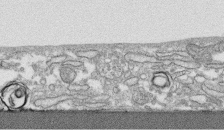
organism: Human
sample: CRL-1474